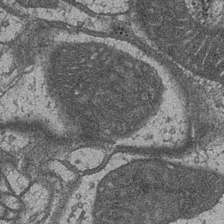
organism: Drosophila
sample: Optic medulla